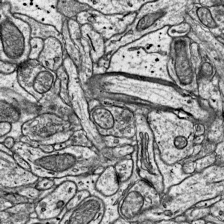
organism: Mouse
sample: Visual Cortex